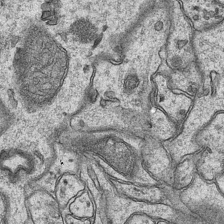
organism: Mouse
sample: CA1 Hippocampus